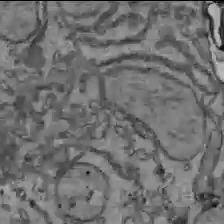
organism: C57BL Mouse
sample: Liver